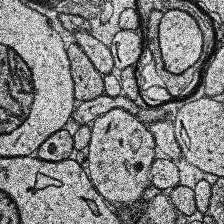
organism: Human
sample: Temporal Lobe